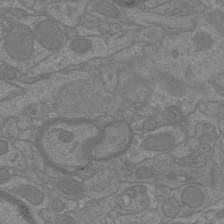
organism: Mouse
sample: Cortical neurons